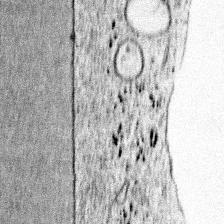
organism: Human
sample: HeLa cells